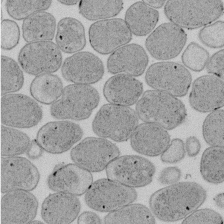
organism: E. coli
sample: Bacterial nucleoid